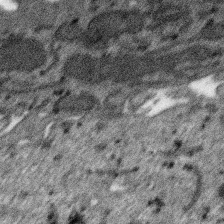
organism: Human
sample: Lung epithelial cells infected with SARS-CoV-2